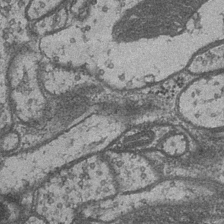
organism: Drosophila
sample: Optic medulla